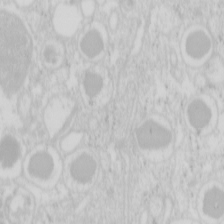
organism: Mouse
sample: Pancreas